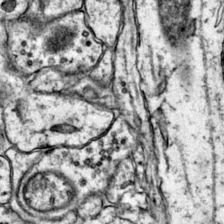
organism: Mouse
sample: Primary visual cortex